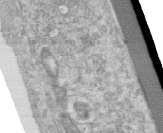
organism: Human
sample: Centriole in RPE cells